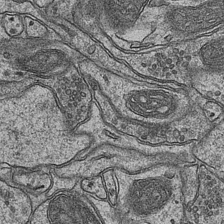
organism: Mouse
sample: CA1 Hippocampus